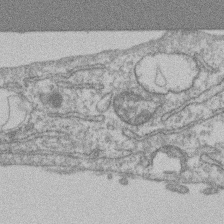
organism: Mouse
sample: T cell stromal cell synapse